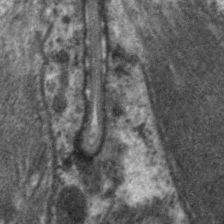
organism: C. elegans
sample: Pharynx